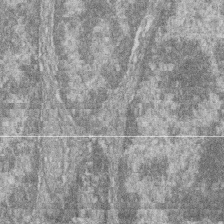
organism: Zebrafish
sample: Cilia; retinal pigment epithelium